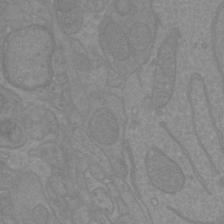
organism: Mouse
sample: Cortical neurons